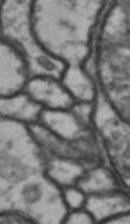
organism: Drosophila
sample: Brain